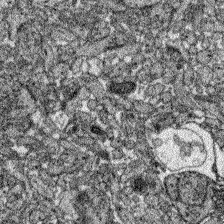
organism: Zebrafish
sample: Larval olfactory bulb